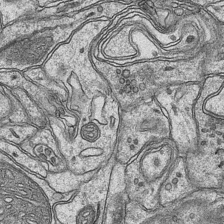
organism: Mouse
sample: CA1 Hippocampus